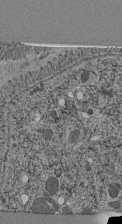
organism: C. elegans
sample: C. elegans pharynx